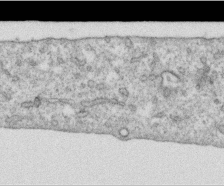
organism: Human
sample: Centriole in RPE cells